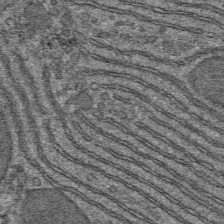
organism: Mouse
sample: Mouse hepatocytes